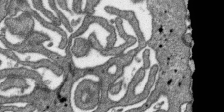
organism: Human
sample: Lung epithelial cells, uninfected (mock) control